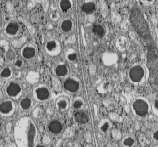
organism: C57BL Mouse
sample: Pancreatic islet